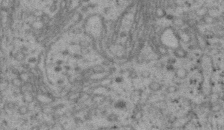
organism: Human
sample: HeLa cells